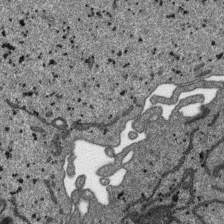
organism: Human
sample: Lung epithelial cells infected with SARS-CoV-2